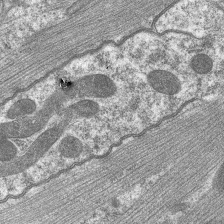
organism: C. elegans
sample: Pharynx